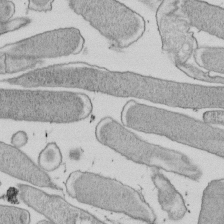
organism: E. coli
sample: Bacterial nucleoid